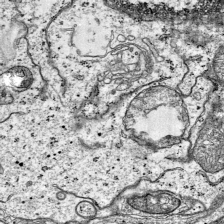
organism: Mouse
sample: Visual Cortex